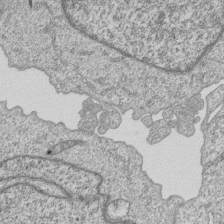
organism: Human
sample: MDA-MB-231 cells